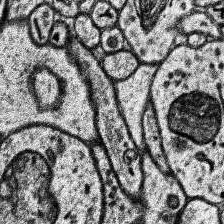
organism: Human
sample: Temporal Lobe